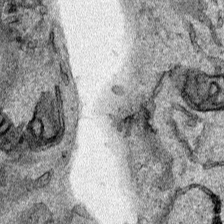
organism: Human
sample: Mitochondria in HCT116 cells